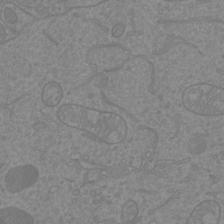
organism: Mouse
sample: Cortical neurons